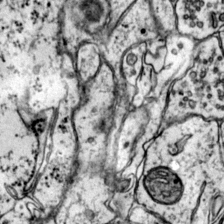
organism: Mouse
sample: Primary visual cortex